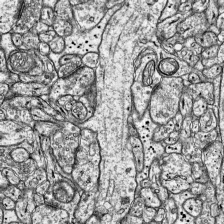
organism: Mouse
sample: Visual Cortex